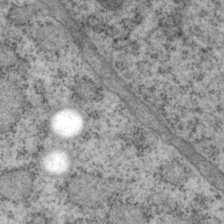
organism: P. pacificus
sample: Pharynx